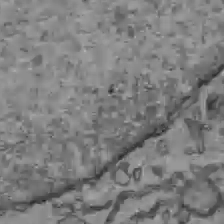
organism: C57BL Mouse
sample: Liver